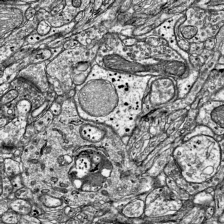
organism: Mouse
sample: Visual Cortex